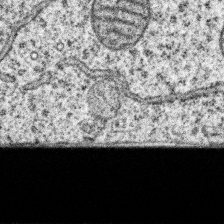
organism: Human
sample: HeLa cells